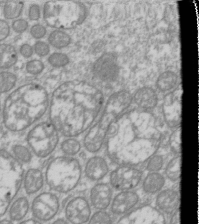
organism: Drosophila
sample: Cell division; meiosis; drosophila spermatocytes